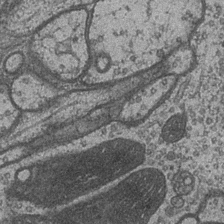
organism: Drosophila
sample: Optic medulla